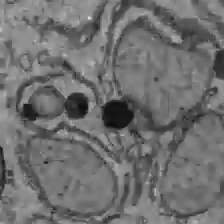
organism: C57BL Mouse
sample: Liver